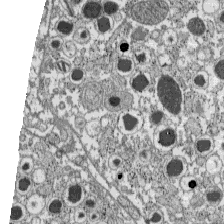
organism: C57BL Mouse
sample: Pancreatic islet